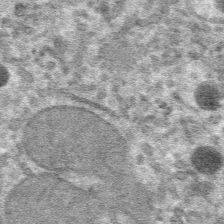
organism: Mouse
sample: Mouse hepatocytes